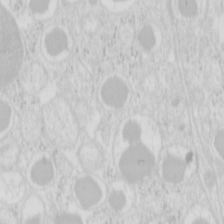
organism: Mouse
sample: Pancreas